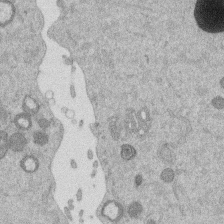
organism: Mouse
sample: Dividing mouse embryo 1 cell stage